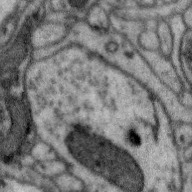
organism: Zebra finch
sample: Brain